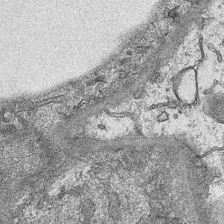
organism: Mouse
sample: CA1 Hippocampus